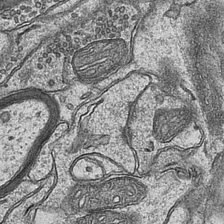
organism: Mouse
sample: CA1 Hippocampus